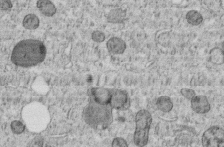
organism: C. elegans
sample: C. elegans embryo early stage